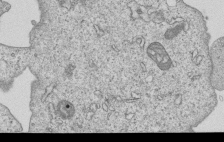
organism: Human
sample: MDA-MB-231 cells